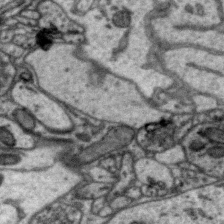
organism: Zebra finch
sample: Brain